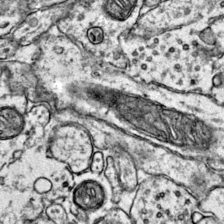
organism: Mouse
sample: Primary visual cortex